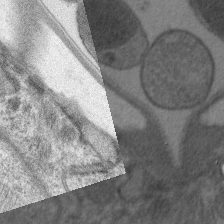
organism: C. elegans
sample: Pharynx